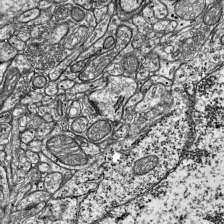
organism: Mouse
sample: Visual Cortex